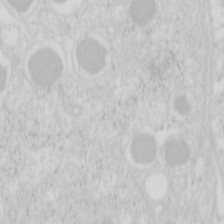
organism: Mouse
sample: Pancreas